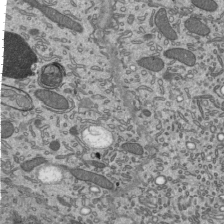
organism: Mouse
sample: Mouse epididymis efferent ductule cilia